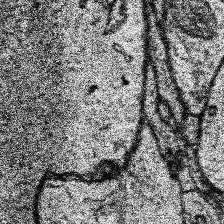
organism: Human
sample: Temporal Lobe